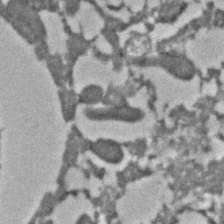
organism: C. elegans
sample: C. elegans embryo